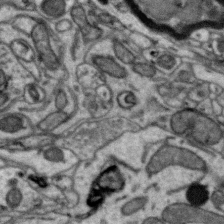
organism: Zebra finch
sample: Brain